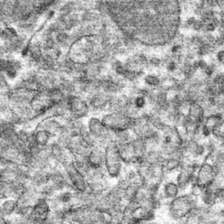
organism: Mouse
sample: Mouse hepatocytes